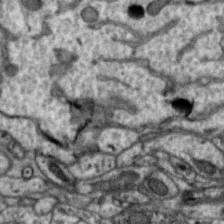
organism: Zebra finch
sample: Brain